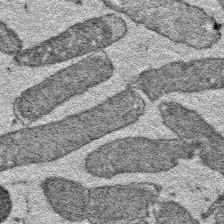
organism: E. coli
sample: E. Coli Bacteria